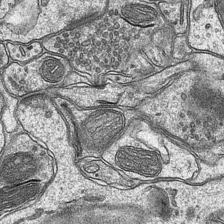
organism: Mouse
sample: CA1 Hippocampus